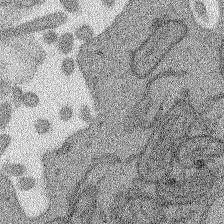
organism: Human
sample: HeLa cells